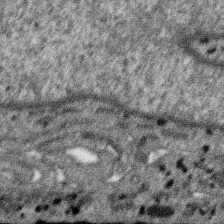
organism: Human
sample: Lung epithelial cells infected with SARS-CoV-2